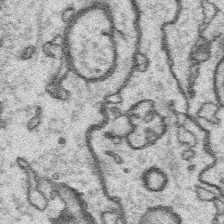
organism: Platynereis dumerilii